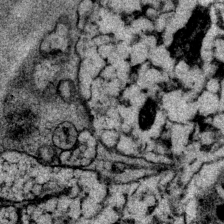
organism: P. pacificus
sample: Pharynx